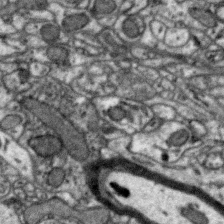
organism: Zebra finch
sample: Brain